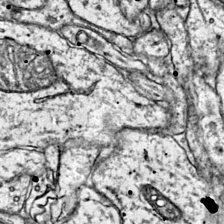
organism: Mouse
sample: Primary visual cortex